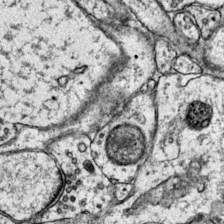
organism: Mouse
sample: Primary visual cortex